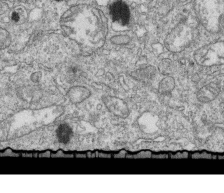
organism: Human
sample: HeLa cell HIV synapse